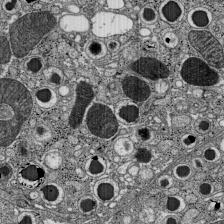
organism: C57BL Mouse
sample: Pancreatic islet